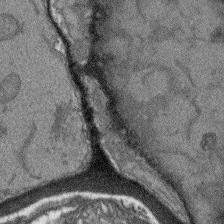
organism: Arabidopsis thaliana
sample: Root tip